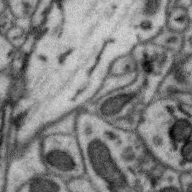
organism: Zebra finch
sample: Brain